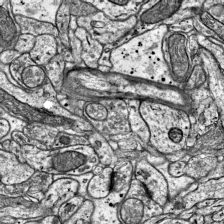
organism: Mouse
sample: Visual Cortex